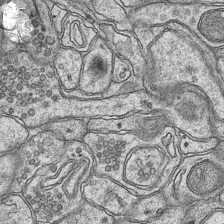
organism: Mouse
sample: CA1 Hippocampus